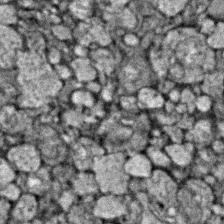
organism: Zebrafish